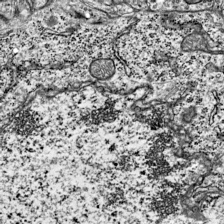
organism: Mouse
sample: Visual Cortex